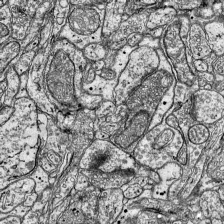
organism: Mouse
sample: Visual Cortex